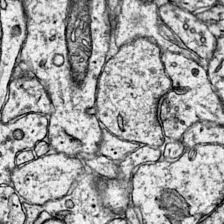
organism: Mouse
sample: Primary visual cortex